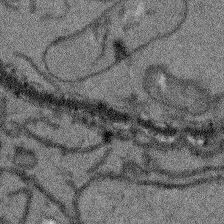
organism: Arabidopsis thaliana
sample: Root tip